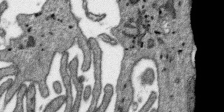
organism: Human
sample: Lung epithelial cells, uninfected (mock) control